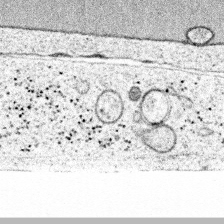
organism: Human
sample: HeLa cells